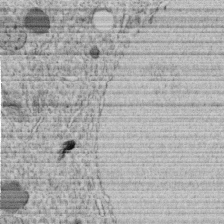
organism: C. elegans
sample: C. elegans embryo early stage